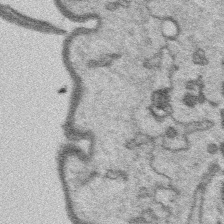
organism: Platynereis dumerilii